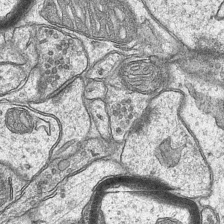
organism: Mouse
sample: CA1 Hippocampus